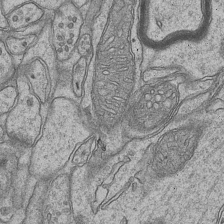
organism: Mouse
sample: CA1 Hippocampus